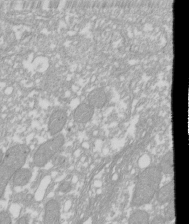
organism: Xenopus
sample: Cilia; centrioles in frog embryo cells